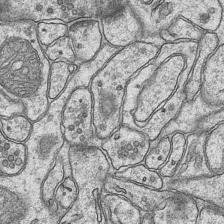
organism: Mouse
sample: CA1 Hippocampus